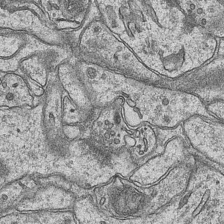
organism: Mouse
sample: CA1 Hippocampus